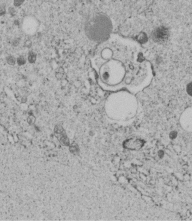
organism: C. elegans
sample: C. elegans embryo early stage